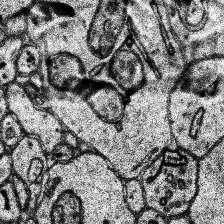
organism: Human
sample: Temporal Lobe